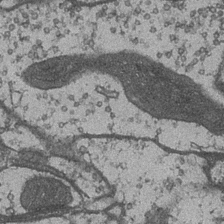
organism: Drosophila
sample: Optic medulla